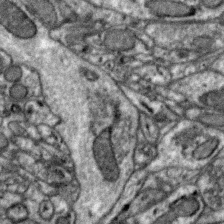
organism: Zebra finch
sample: Brain